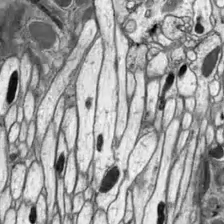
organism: Drosophila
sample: Optic lobe